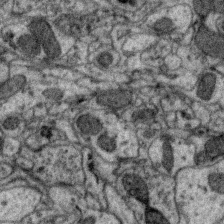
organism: Zebra finch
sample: Brain